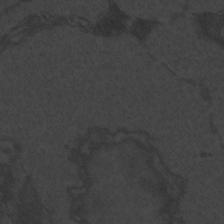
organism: Zebrafish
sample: Macrophage infected with Toxoplasma gondii